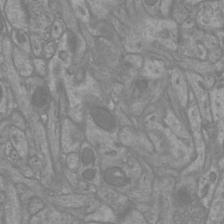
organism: Mouse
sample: Cortical neurons